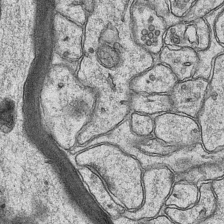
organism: Mouse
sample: CA1 Hippocampus